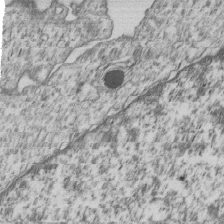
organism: Human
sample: MDA-MB-231 cells